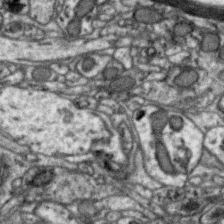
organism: Zebra finch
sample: Brain